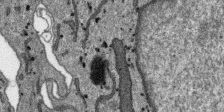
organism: Human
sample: Lung epithelial cells, uninfected (mock) control